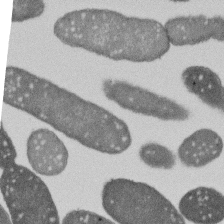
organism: E. coli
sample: Bacterial nucleoid